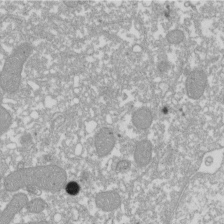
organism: Xenopus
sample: Cilia; centrioles in frog embryo cells